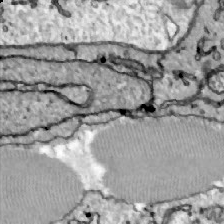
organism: Zebrafish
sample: Actinotrichia fibers